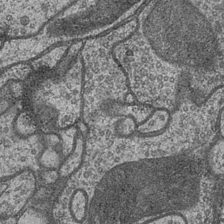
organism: Drosophila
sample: Optic medulla